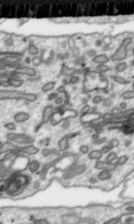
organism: Toxoplasma gondii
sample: Parasites in a vacuole inside a host cell